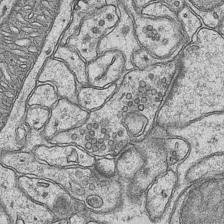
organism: Mouse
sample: CA1 Hippocampus